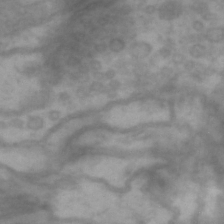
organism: Drosophila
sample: Brain